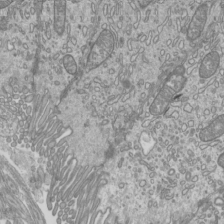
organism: Mouse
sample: Cilia; mouse epididymis